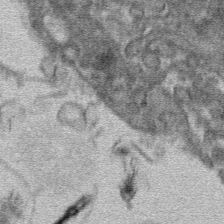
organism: Mouse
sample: Mouse hepatocytes